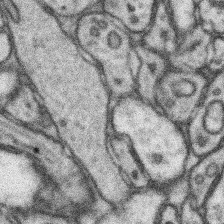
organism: Mouse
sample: Somatosensory cortex neuropil